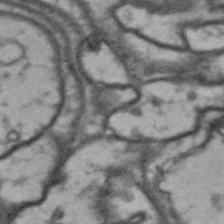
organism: Drosophila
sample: Brain